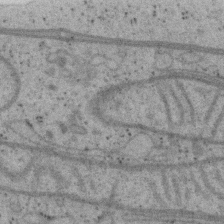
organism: Human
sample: HeLa cells